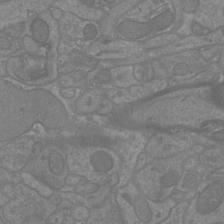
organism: Mouse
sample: Cortical neurons